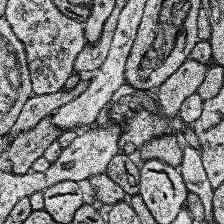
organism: Human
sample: Temporal Lobe